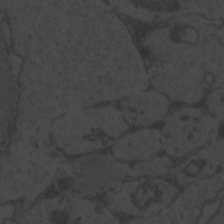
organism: Zebrafish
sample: Macrophage infected with Toxoplasma gondii